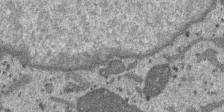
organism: Human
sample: Lung epithelial cells infected with SARS-CoV-2